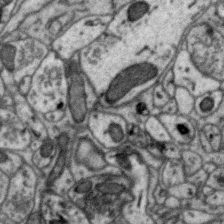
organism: Zebra finch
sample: Brain